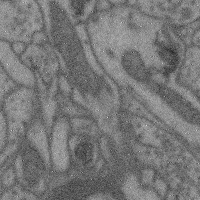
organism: Mouse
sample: Cerebral cortex